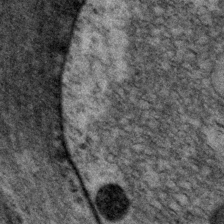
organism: P. pacificus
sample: Pharynx